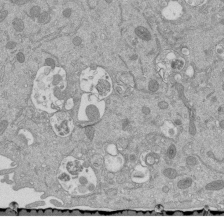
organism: Mouse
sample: ED-1 cell nuclei; centrioles